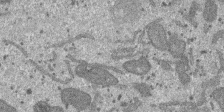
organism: Human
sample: Lung epithelial cells infected with SARS-CoV-2